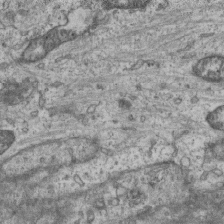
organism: Mouse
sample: Centriole in ependymal cells